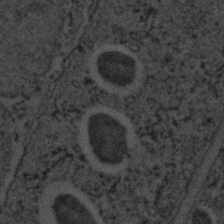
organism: C. elegans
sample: C. elegans embryo